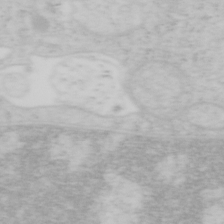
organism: Mouse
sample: OT-I killer T cells with ID8 ovarian cancer cells